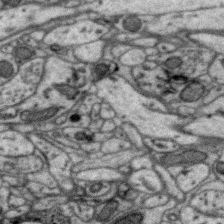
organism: Zebra finch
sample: Brain